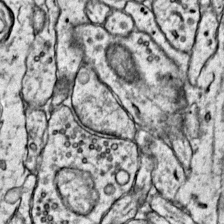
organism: Mouse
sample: Primary visual cortex